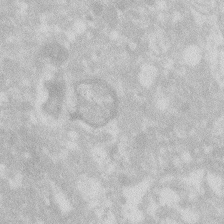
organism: Zebrafish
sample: Macrophage